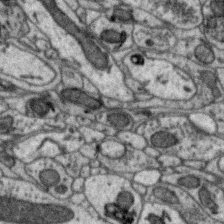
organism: Zebra finch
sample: Brain